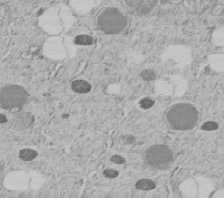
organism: C. elegans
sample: C. elegans embryo early stage